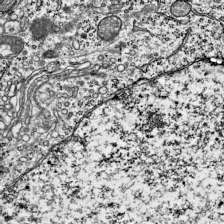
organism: Mouse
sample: Visual Cortex